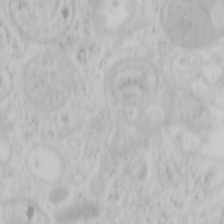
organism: Mouse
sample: OT-I killer T cells with ID8 ovarian cancer cells